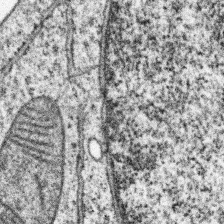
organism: Human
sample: HeLa cells